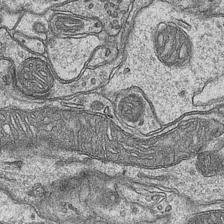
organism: Mouse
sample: CA1 Hippocampus